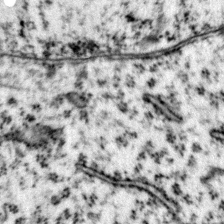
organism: Mouse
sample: Primary visual cortex